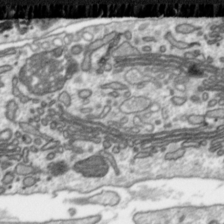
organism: Toxoplasma gondii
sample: Parasites in a vacuole inside a host cell